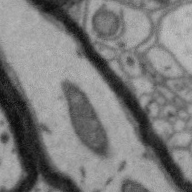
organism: Zebra finch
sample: Brain